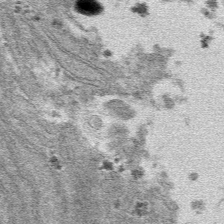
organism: Mouse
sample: Mouse hepatocytes